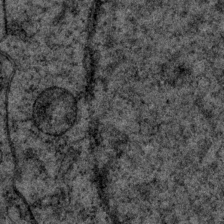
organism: P. pacificus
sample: Pharynx